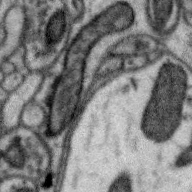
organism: Zebra finch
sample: Brain